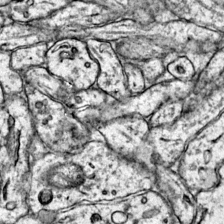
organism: Mouse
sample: Primary visual cortex